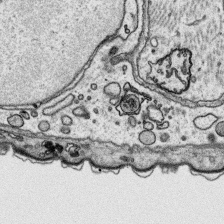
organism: Platynereis dumerilii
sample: Parapodia